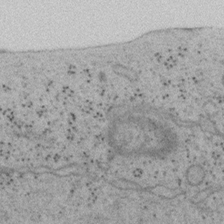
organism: Human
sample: HeLa cells